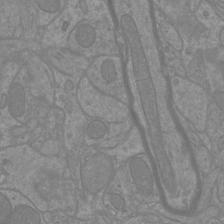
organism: Mouse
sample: Cortical neurons